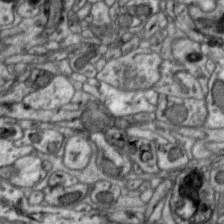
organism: Zebra finch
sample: Brain